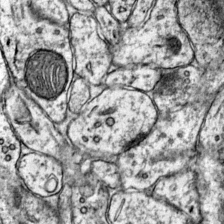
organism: Mouse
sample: Primary visual cortex